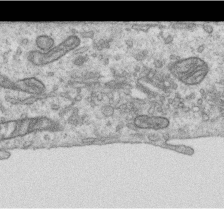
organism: Human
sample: Centriole in RPE cells